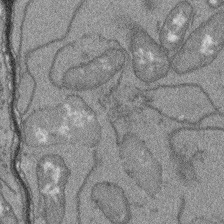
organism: Arabidopsis thaliana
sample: Root tip